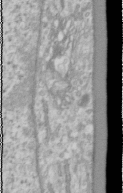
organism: Human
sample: Cilia; basal body in RPE cells